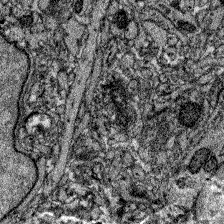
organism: Zebrafish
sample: Larval olfactory bulb